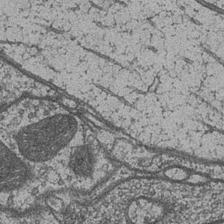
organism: Drosophila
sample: Optic medulla